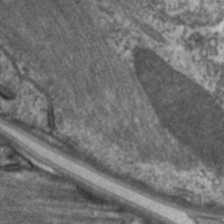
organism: C. elegans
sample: Pharynx